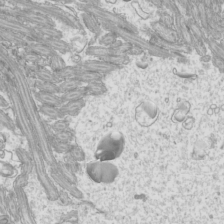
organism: Mouse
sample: Cilia; mouse epididymis